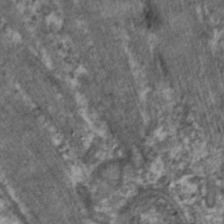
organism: C. elegans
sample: Pharynx